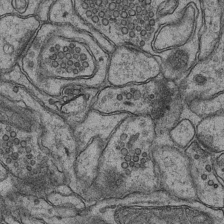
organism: Mouse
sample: CA1 Hippocampus